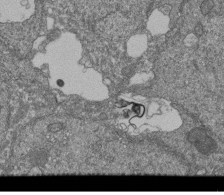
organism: Human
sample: Retinal organoid Rod and Cone cells